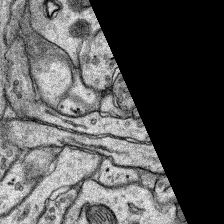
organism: Rat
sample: Hippocampus